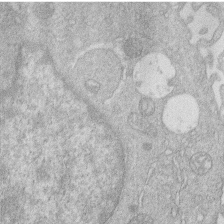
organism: Human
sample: Macrophage cells